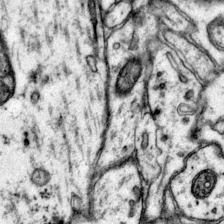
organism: Mouse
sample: Primary visual cortex